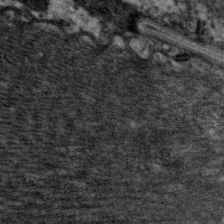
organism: C. elegans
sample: Pharynx